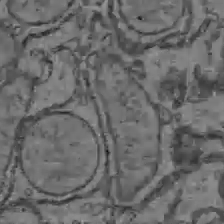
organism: C57BL Mouse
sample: Liver